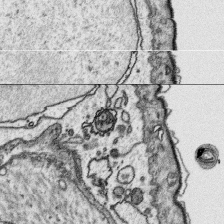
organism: Platynereis dumerilii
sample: Parapodia